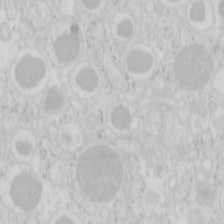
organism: Mouse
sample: Pancreas